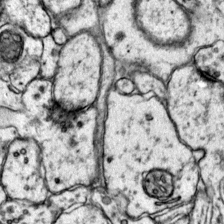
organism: Mouse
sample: Primary visual cortex